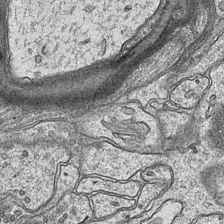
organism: Mouse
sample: CA1 Hippocampus